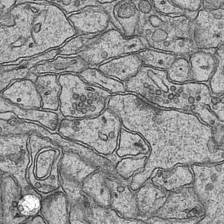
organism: Mouse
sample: CA1 Hippocampus